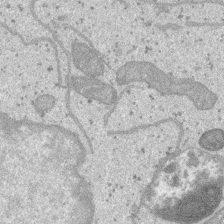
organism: Human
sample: Lung epithelial cells infected with SARS-CoV-2